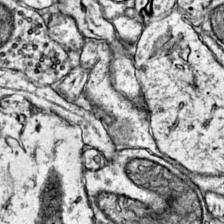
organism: Mouse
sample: Primary visual cortex